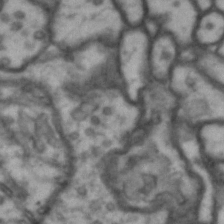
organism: Drosophila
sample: Brain